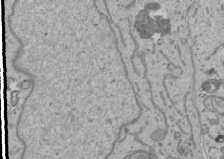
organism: Human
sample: Mitochondria in U2OS cells